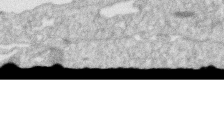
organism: Human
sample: HeLa cell HIV synapse